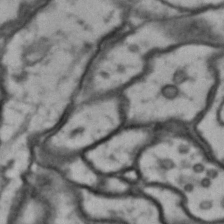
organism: Drosophila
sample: Brain